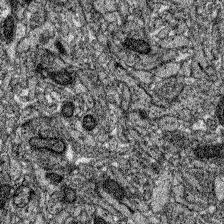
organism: Zebrafish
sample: Larval olfactory bulb